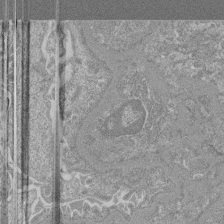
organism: Mouse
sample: Glomerulus